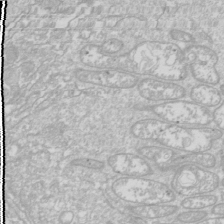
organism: Drosophila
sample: Cell division; meiosis; drosophila spermatocytes